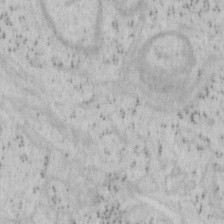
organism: Human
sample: HeLa cells